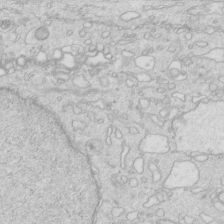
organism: Mouse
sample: Multiciliated cells